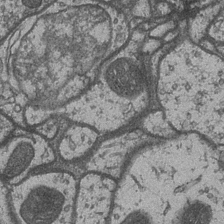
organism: Drosophila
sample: Optic medulla